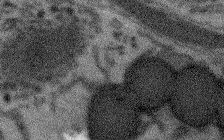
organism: Arabidopsis thaliana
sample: Root tip